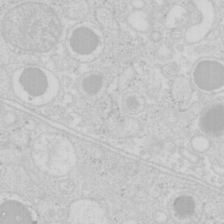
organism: Mouse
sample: Pancreas